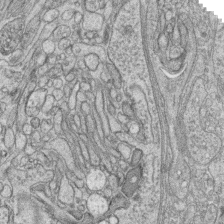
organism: Zebrafish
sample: synaptic ribbons in rod cells and cone cells